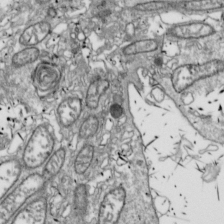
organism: Drosophila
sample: Cell division; meiosis; drosophila spermatocytes